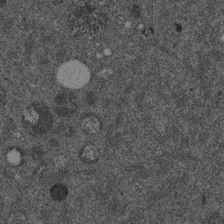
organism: Mouse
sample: Dividing mouse embryo 1 cell stage